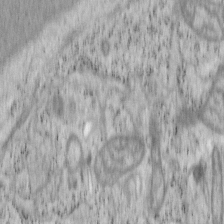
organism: Human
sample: HeLa cells